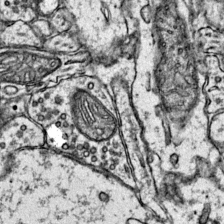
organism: Mouse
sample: Primary visual cortex